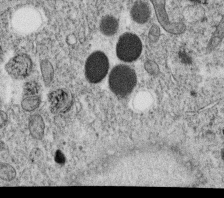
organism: C. elegans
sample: C. elegans oocyte; sperm cells